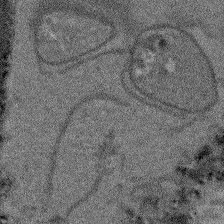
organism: Arabidopsis thaliana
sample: Root tip